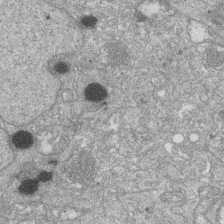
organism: Human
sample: HeLa cell HIV synapse